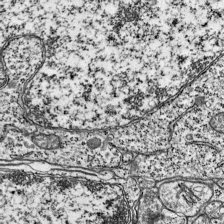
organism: Mouse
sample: Visual Cortex